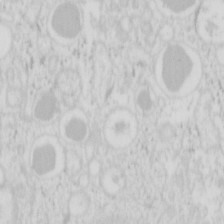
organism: Mouse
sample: Pancreas